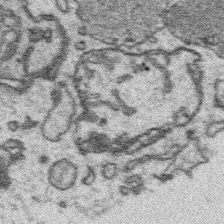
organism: Platynereis dumerilii